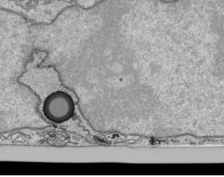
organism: Human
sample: Mitochondria in HCT116 cells